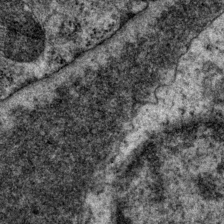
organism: P. pacificus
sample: Pharynx